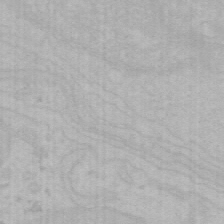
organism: Mouse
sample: Choroid plexus